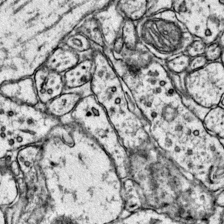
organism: Mouse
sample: Primary visual cortex